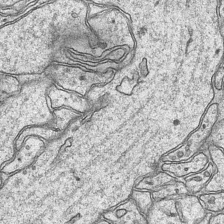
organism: Mouse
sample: CA1 Hippocampus